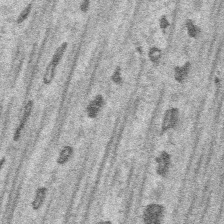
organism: Platynereis dumerilii